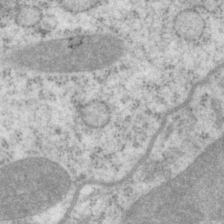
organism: P. pacificus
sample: Pharynx